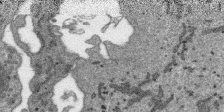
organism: Human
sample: Lung epithelial cells infected with SARS-CoV-2